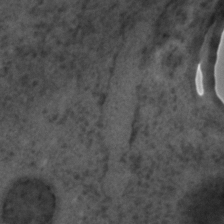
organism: C. elegans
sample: C. elegans embryo